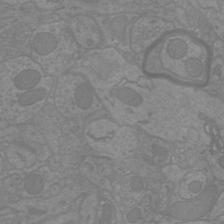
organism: Mouse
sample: Cortical neurons